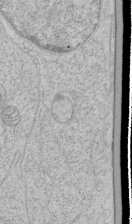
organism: Human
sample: Mitochondria in HCT116 cells